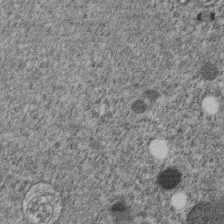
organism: C. elegans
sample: C. elegans embryo early stage